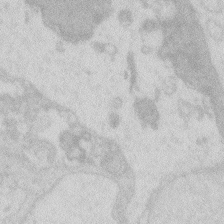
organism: Zebrafish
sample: Macrophage